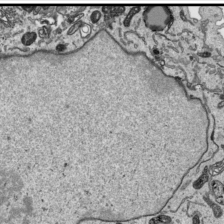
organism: Human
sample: Mitochondria in HCT116 cells